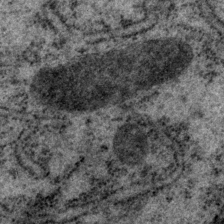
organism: P. pacificus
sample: Pharynx